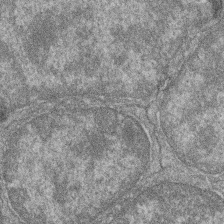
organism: Zebrafish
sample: Cilia; retinal pigment epithelium